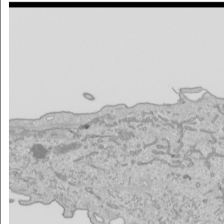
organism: Human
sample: Mitochondria in HCT116 cells